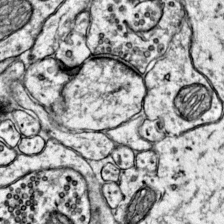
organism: Mouse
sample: Primary visual cortex